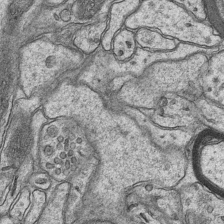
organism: Mouse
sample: CA1 Hippocampus